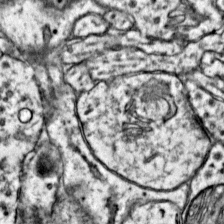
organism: Mouse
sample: Primary visual cortex